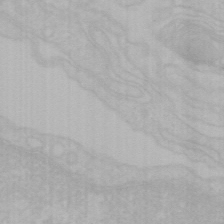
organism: Mouse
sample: Choroid plexus